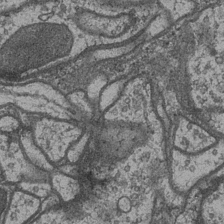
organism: Drosophila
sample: Optic medulla